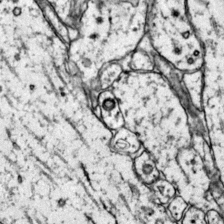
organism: Mouse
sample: Primary visual cortex